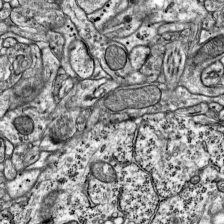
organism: Mouse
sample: Visual Cortex